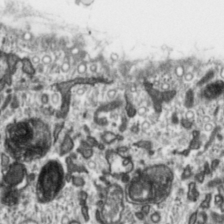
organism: Toxoplasma gondii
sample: Parasites in a vacuole inside a host cell